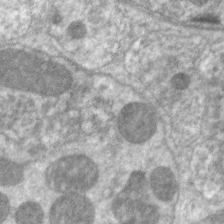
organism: C. elegans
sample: Pharynx